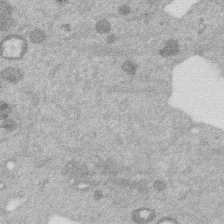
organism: Mouse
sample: Dividing mouse embryo 1 cell stage